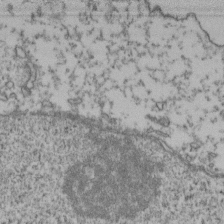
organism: Human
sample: Activated Jurkat CD4+ T cells